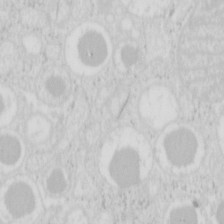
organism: Mouse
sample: Pancreas